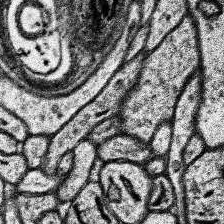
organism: Human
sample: Temporal Lobe